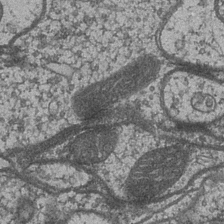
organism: Drosophila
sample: Optic medulla